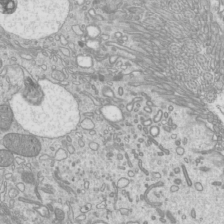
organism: Mouse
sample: Cilia; mouse epididymis